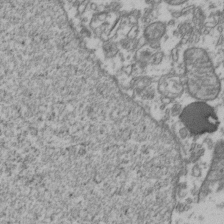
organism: Human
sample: Activated Jurkat CD4+ T cells